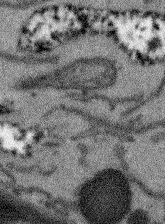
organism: Arabidopsis thaliana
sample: Root tip